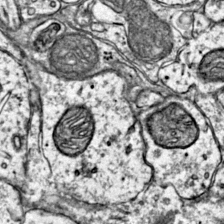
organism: Mouse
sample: Primary visual cortex